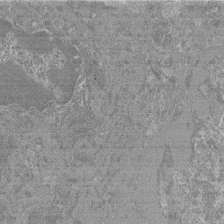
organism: Mouse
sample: Glomerulus